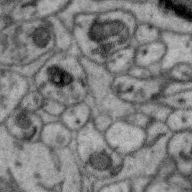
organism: Zebra finch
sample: Brain